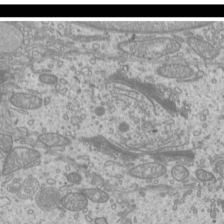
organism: Mouse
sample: Cilia; mouse epididymis